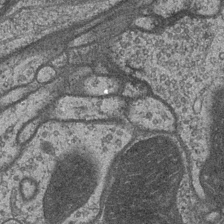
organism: Drosophila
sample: Optic medulla